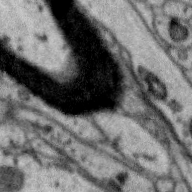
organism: Zebra finch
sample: Brain